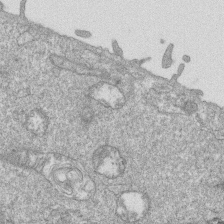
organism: Human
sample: HeLa cell HIV synapse